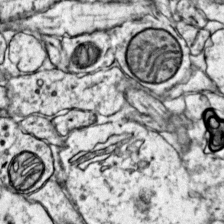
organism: Mouse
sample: Primary visual cortex